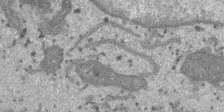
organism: Human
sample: Lung epithelial cells infected with SARS-CoV-2